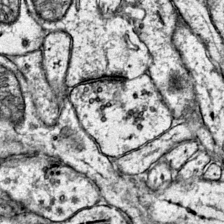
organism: Mouse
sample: Primary visual cortex